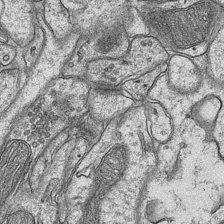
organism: Mouse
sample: CA1 Hippocampus